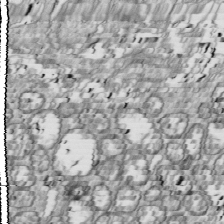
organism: Drosophila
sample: Cell division; meiosis; drosophila spermatocytes